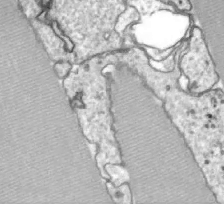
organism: Zebrafish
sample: Actinotrichia fibers